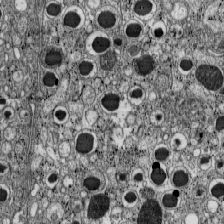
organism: C57BL Mouse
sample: Pancreatic islet